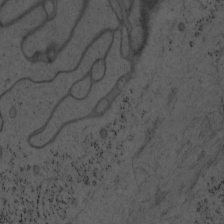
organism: Mouse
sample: OT-I killer T cells with ID8 ovarian cancer cells